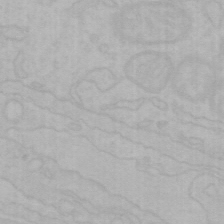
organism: Mouse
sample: Choroid plexus